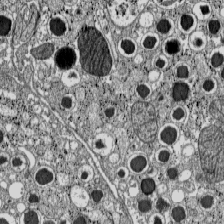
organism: C57BL Mouse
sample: Pancreatic islet